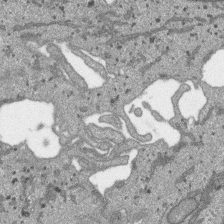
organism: Human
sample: Lung epithelial cells infected with SARS-CoV-2